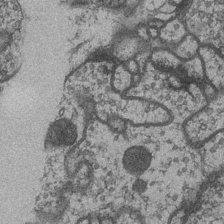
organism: Drosophila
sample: Optic medulla